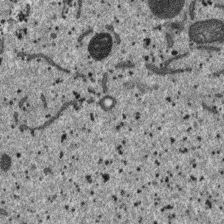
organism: Human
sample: Lung epithelial cells infected with SARS-CoV-2